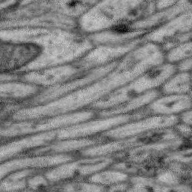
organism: Zebra finch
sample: Brain